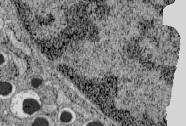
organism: C57BL Mouse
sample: Pancreatic islet